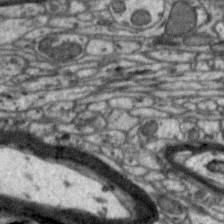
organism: Zebra finch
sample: Brain